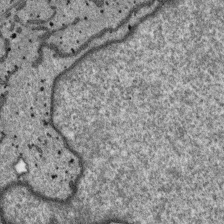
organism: Human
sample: Lung epithelial cells, uninfected (mock) control